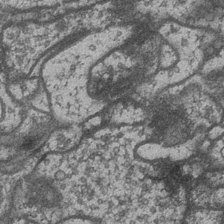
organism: Drosophila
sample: Optic medulla